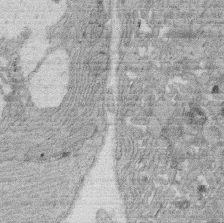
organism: Rat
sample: Salivary granule